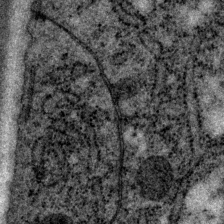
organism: P. pacificus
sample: Pharynx